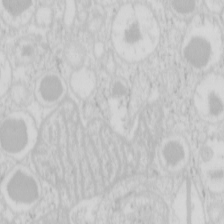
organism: Mouse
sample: Pancreas